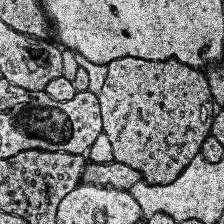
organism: Human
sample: Temporal Lobe